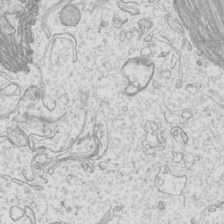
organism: Mouse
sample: Cilia; mouse epididymis